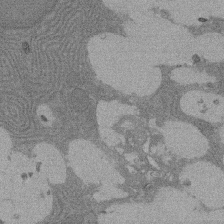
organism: Rat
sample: Salivary granule